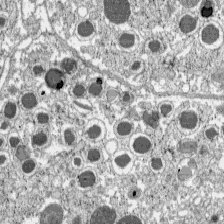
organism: C57BL Mouse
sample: Pancreatic islet